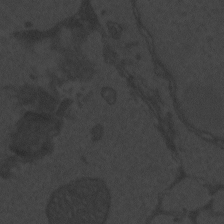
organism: Zebrafish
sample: Macrophage infected with Toxoplasma gondii